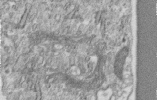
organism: Human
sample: Centriole in RPE cells